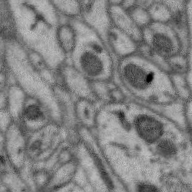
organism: Zebra finch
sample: Brain